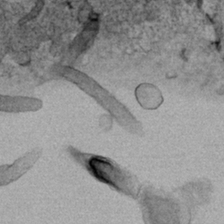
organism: Human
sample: Mitochondria in HCT116 cells